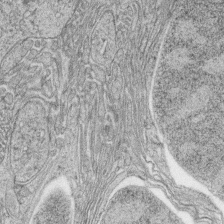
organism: Zebrafish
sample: synaptic ribbons in rod cells and cone cells